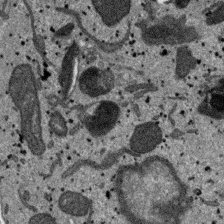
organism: Human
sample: Lung epithelial cells, uninfected (mock) control